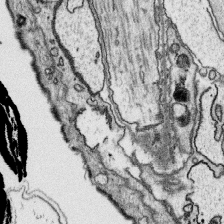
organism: Platynereis dumerilii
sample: Parapodia